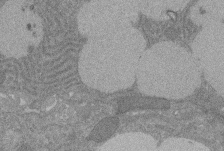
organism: Rat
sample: Salivary granule